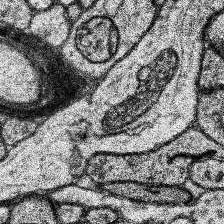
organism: Human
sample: Temporal Lobe